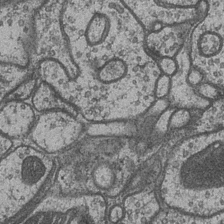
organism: Drosophila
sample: Optic medulla